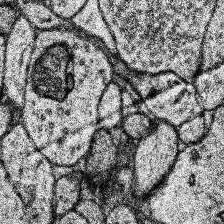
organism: Human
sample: Temporal Lobe